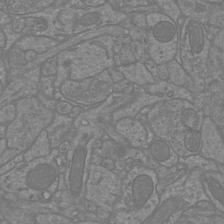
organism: Mouse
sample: Cortical neurons